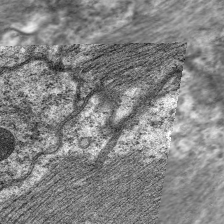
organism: C. elegans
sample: Pharynx